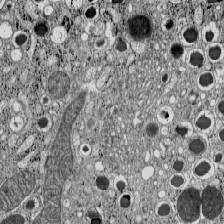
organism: C57BL Mouse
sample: Pancreatic islet